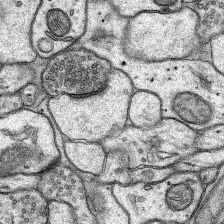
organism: Rat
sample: Hippocampus